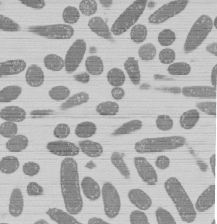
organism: E. coli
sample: Bacterial nucleoid